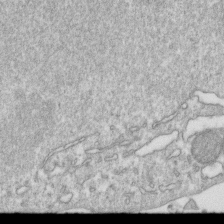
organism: Mouse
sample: Activated OT-1 CD8+ T cells